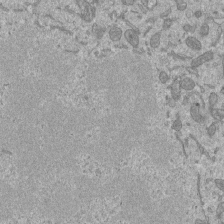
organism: Mouse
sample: ED-1 cell nuclei; centrioles